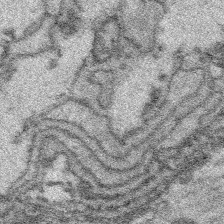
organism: Platynereis dumerilii